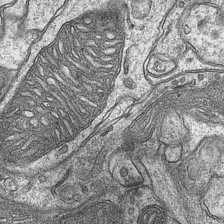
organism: Mouse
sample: CA1 Hippocampus